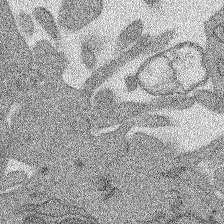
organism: Human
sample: HeLa cells